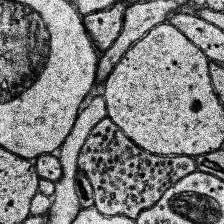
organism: Human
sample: Temporal Lobe